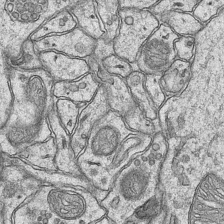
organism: Mouse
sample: CA1 Hippocampus